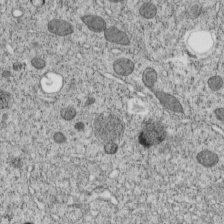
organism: C. elegans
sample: C. elegans embryo early stage